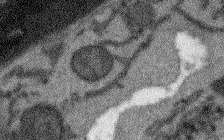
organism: Arabidopsis thaliana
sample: Root tip